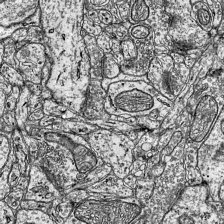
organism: Mouse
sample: Visual Cortex